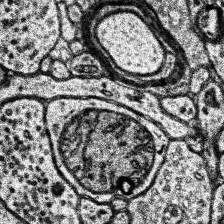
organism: Human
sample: Temporal Lobe